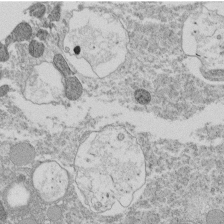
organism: Tetrahymena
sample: Cilia in tetrahymena